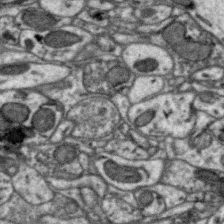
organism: Zebra finch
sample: Brain